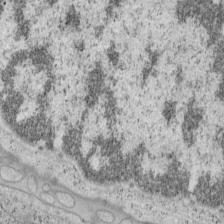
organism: Mouse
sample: OT-I killer T cells with ID8 ovarian cancer cells